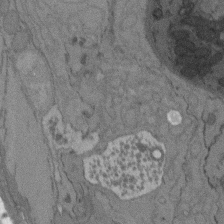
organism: C. elegans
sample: AFD neurons C. elegans